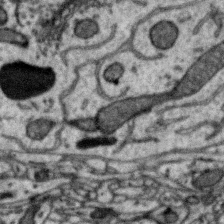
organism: Zebra finch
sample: Brain